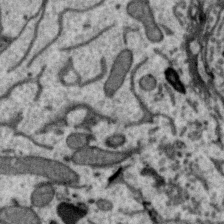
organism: Zebra finch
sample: Brain